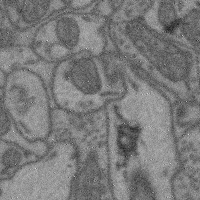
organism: Mouse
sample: Cerebral cortex